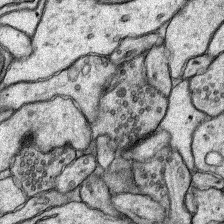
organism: Rat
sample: Hippocampus